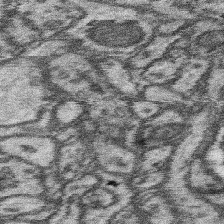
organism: Mouse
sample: Somatosensory cortex neuropil